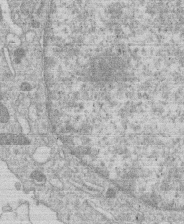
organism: Human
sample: Macrophage cells